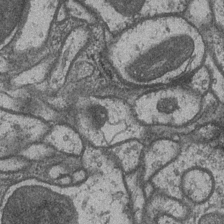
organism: Drosophila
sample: Optic medulla